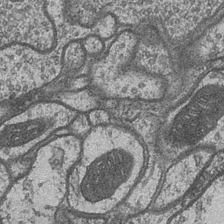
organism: Drosophila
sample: Optic medulla